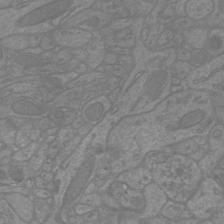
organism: Mouse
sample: Cortical neurons